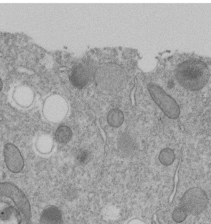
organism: C. elegans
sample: C. elegans embryo early stage